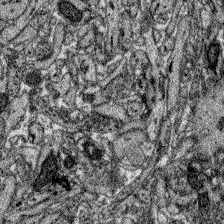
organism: Zebrafish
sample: Larval olfactory bulb